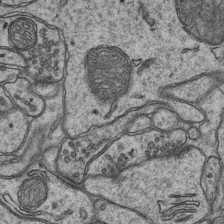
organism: Mouse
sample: CA1 Hippocampus